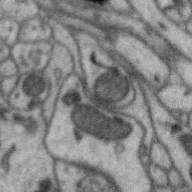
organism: Zebra finch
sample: Brain